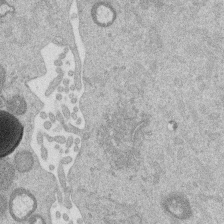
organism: Mouse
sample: Dividing mouse embryo 1 cell stage